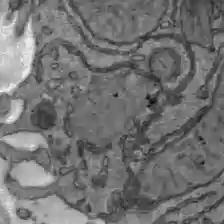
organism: C57BL Mouse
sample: Liver